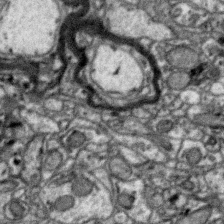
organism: Zebra finch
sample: Brain